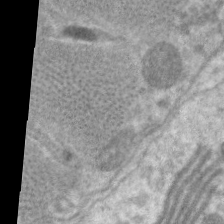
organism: C. elegans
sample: Pharynx